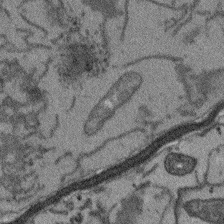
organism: Arabidopsis thaliana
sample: Root tip